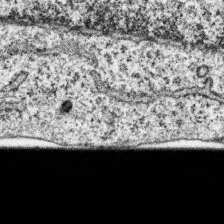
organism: Human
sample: HeLa cells